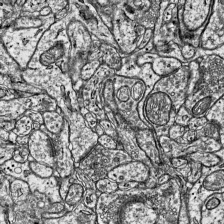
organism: Mouse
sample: Visual Cortex